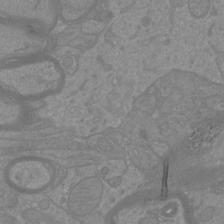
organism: Mouse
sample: Cortical neurons